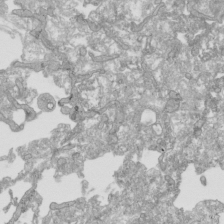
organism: Human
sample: Mitochondria in HCT116 cells